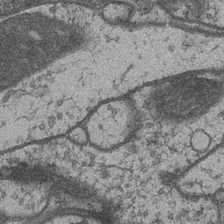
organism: Drosophila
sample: Optic medulla